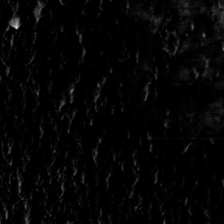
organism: Toxoplasma gondii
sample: Parasites in a vacuole inside a host cell